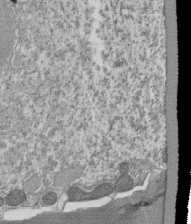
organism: Tetrahymena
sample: Cilia in tetrahymena